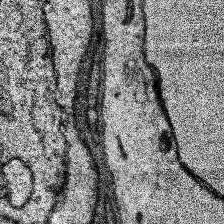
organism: Human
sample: Temporal Lobe